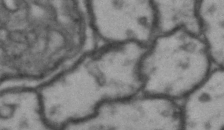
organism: Drosophila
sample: Brain